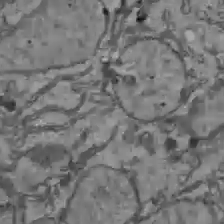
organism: C57BL Mouse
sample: Liver